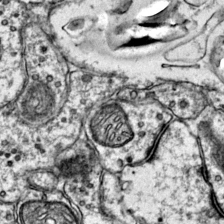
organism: Mouse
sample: Primary visual cortex